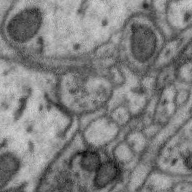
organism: Zebra finch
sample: Brain